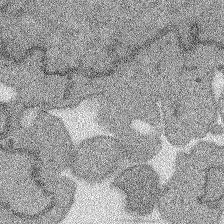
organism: Human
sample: HeLa cells